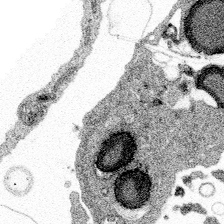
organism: Spongilla lacustris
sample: Multiple